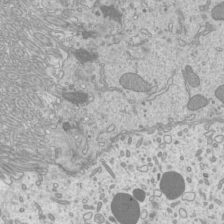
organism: Mouse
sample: Cilia; mouse epididymis